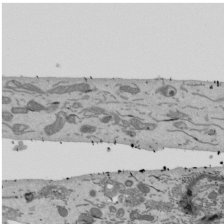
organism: Mouse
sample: ED-1 cell nuclei; centrioles